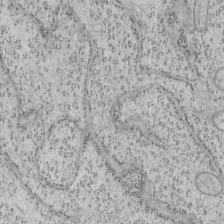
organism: Mouse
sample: OT-I killer T cells with ID8 ovarian cancer cells